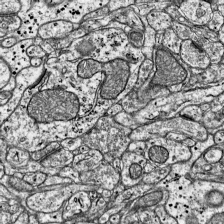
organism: Mouse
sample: Visual Cortex